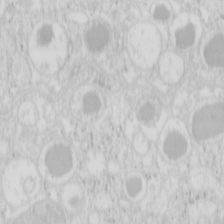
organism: Mouse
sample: Pancreas